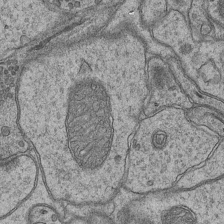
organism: Mouse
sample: CA1 Hippocampus